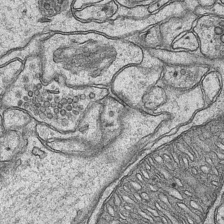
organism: Mouse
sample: CA1 Hippocampus